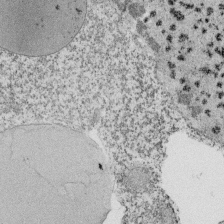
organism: Tetrahymena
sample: Cilia in tetrahymena